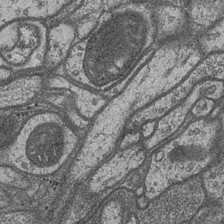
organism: Drosophila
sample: Optic medulla